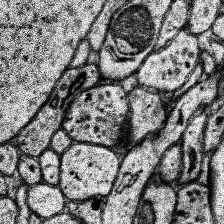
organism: Human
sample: Temporal Lobe